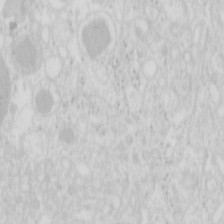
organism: Mouse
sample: Pancreas